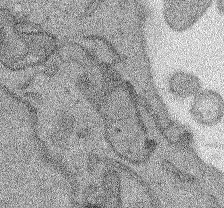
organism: Human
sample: HeLa cells